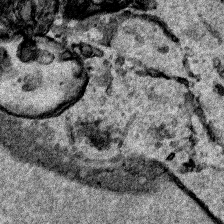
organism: Human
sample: Mitochondria in HCT116 cells